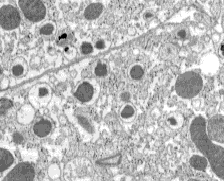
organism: C57BL Mouse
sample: Pancreatic islet